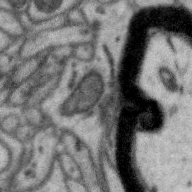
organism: Zebra finch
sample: Brain